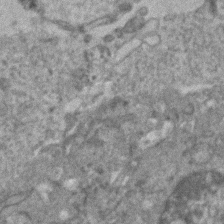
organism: Human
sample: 1205lu cells